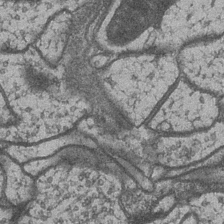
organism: Drosophila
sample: Optic medulla